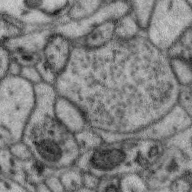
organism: Zebra finch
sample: Brain